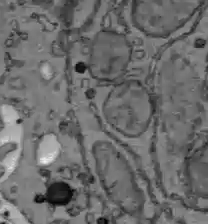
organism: C57BL Mouse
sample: Liver